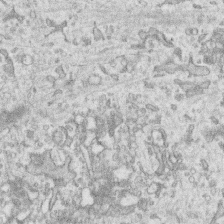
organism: Human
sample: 1205lu cells